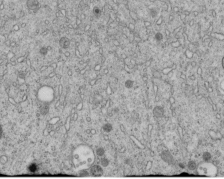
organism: C. elegans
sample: C. elegans embryo early stage